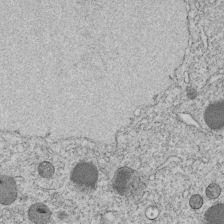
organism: C. elegans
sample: C. elegans embryo early stage